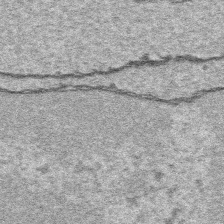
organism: Platynereis dumerilii